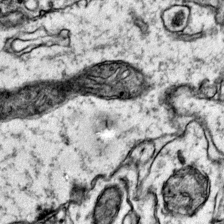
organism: Mouse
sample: Primary visual cortex